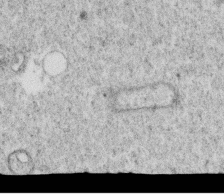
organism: C. elegans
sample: C. elegans oocyte; sperm cells